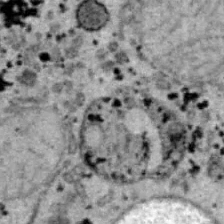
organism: Mouse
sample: Liver from an obese (ob/ob) mouse